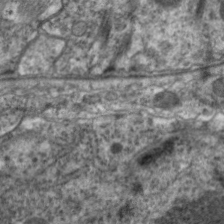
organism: C. elegans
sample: Pharynx